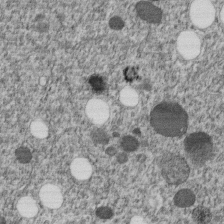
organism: C. elegans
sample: C. elegans embryo early stage